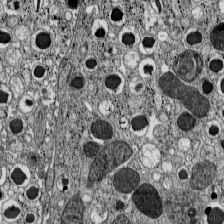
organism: C57BL Mouse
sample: Pancreatic islet